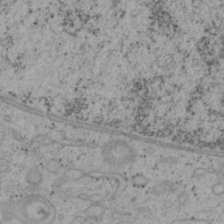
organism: Human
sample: HeLa cells